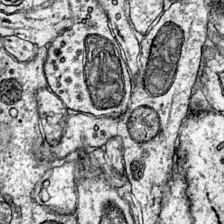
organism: Mouse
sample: Primary visual cortex